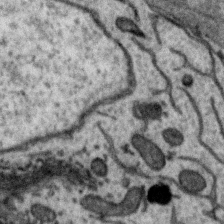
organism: Zebra finch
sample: Brain